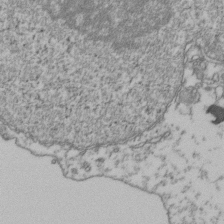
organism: Human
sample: Activated Jurkat CD4+ T cells